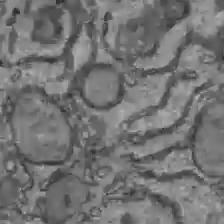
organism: C57BL Mouse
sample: Liver